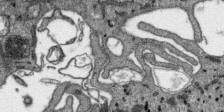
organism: Human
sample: Lung epithelial cells, uninfected (mock) control